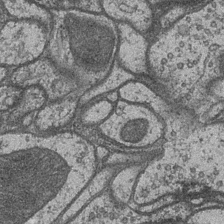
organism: Drosophila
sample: Optic medulla